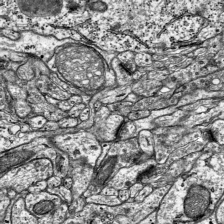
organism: Mouse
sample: Visual Cortex